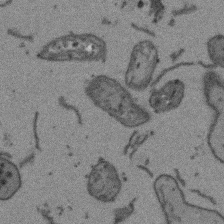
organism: Arabidopsis thaliana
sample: Root tip